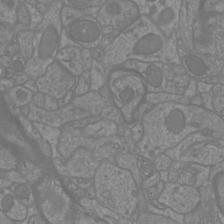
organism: Mouse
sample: Cortical neurons